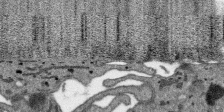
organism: Human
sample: Lung epithelial cells, uninfected (mock) control